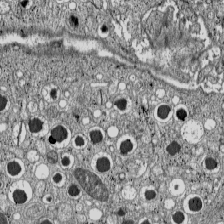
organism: C57BL Mouse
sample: Pancreatic islet